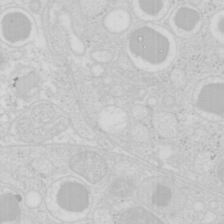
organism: Mouse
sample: Pancreas